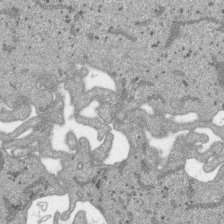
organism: Human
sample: Lung epithelial cells infected with SARS-CoV-2